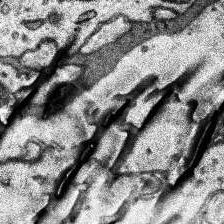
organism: Human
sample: Temporal Lobe